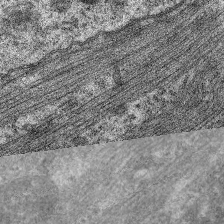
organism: C. elegans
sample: Pharynx